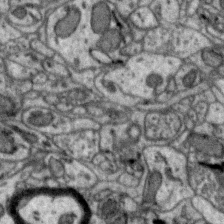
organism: Zebra finch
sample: Brain